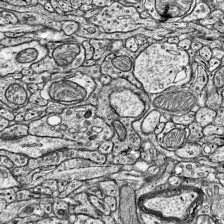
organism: Mouse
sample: Visual Cortex